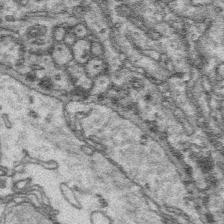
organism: Platynereis dumerilii